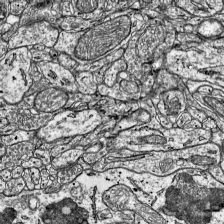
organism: Mouse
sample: Visual Cortex